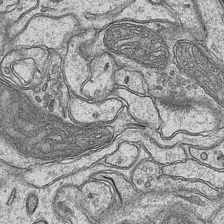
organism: Mouse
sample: CA1 Hippocampus